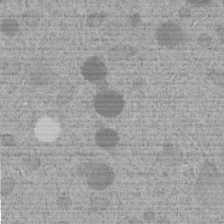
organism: C. elegans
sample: C. elegans embryo early stage